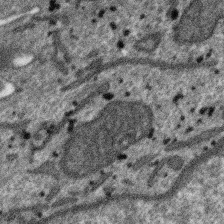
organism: Human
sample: Lung epithelial cells infected with SARS-CoV-2